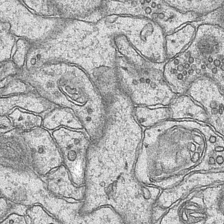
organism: Mouse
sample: CA1 Hippocampus